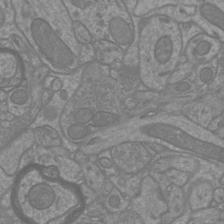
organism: Mouse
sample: Cortical neurons